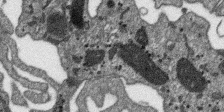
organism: Human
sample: Lung epithelial cells infected with SARS-CoV-2